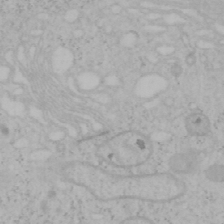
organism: Mouse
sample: OT-I killer T cells with ID8 ovarian cancer cells